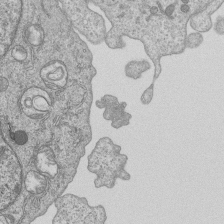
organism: Human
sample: MDA-MB-231 cells